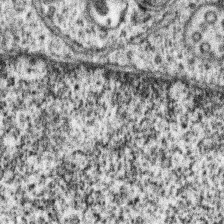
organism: Human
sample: HeLa cells